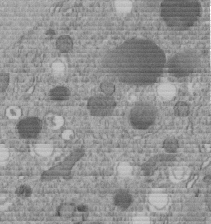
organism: C. elegans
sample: C. elegans embryo early stage